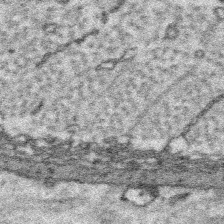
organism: Platynereis dumerilii